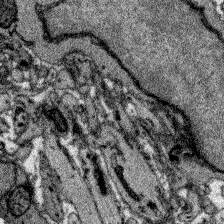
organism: Zebrafish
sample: Larval olfactory bulb